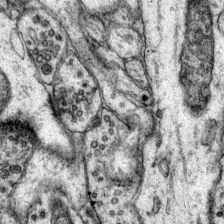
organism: Mouse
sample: Primary visual cortex